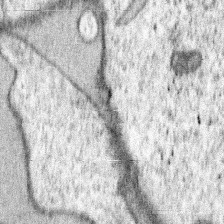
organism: Human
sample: HeLa cells